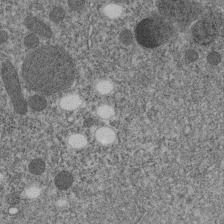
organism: C. elegans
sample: C. elegans embryo early stage